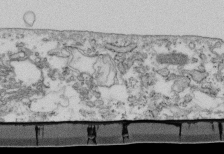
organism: Mouse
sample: Cilia; retinal pigment epithelium